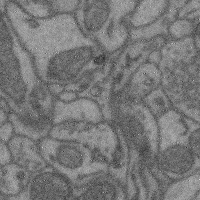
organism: Mouse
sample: Cerebral cortex